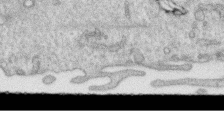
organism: Human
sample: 1205lu cells